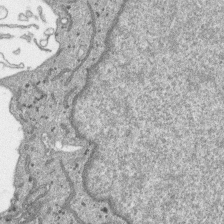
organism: Human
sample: Lung epithelial cells infected with SARS-CoV-2